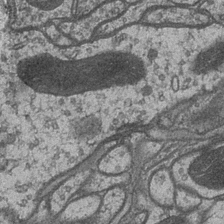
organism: Drosophila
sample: Optic medulla